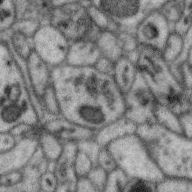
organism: Zebra finch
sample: Brain